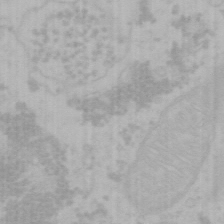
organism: Mouse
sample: Choroid plexus